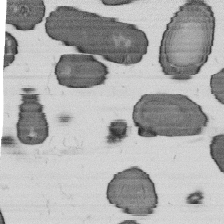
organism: B. subtilis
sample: Bacterial spore